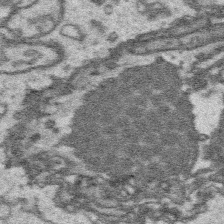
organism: Platynereis dumerilii